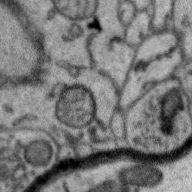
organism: Zebra finch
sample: Brain